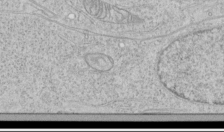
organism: Human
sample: Mitochondria in HCT116 cells